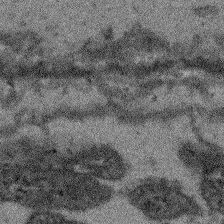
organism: Arabidopsis thaliana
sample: Root tip